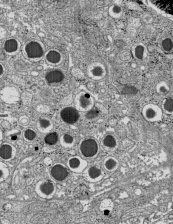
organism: C57BL Mouse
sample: Pancreatic islet